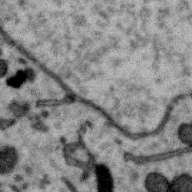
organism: Zebra finch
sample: Brain